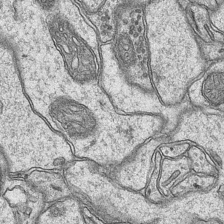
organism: Mouse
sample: CA1 Hippocampus